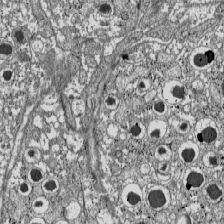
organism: C57BL Mouse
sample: Pancreatic islet